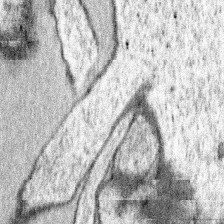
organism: Human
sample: HeLa cells